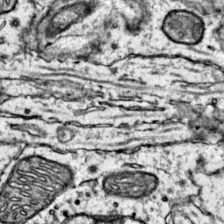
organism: Mouse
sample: Primary visual cortex